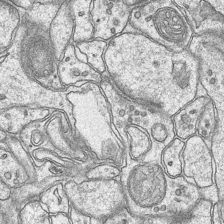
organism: Mouse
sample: CA1 Hippocampus